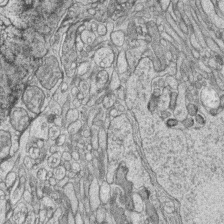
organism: Zebrafish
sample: synaptic ribbons in rod cells and cone cells